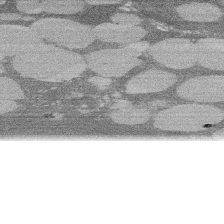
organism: Rat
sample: Salivary granule